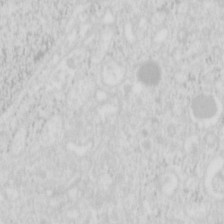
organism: Mouse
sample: Pancreas